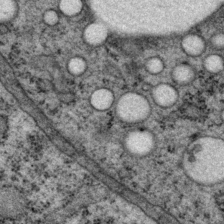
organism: P. pacificus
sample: Pharynx